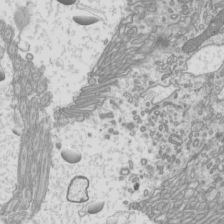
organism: Mouse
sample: Cilia; mouse epididymis